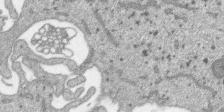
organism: Human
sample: Lung epithelial cells infected with SARS-CoV-2